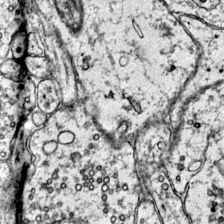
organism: Mouse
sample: Primary visual cortex